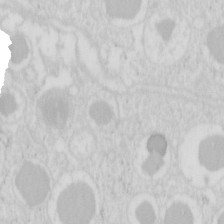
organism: Mouse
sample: Pancreas